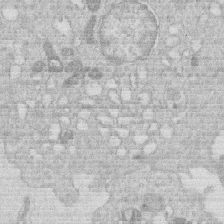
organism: Human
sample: Macrophage cells